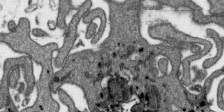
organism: Human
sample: Lung epithelial cells, uninfected (mock) control